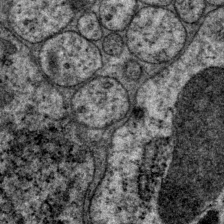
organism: P. pacificus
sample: Pharynx